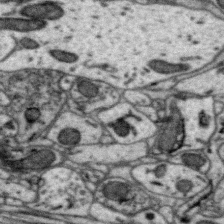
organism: Zebra finch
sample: Brain